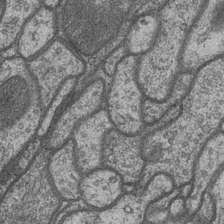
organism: Drosophila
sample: Optic medulla